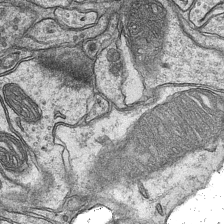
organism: Mouse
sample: CA1 Hippocampus